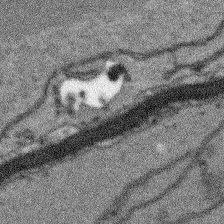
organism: Arabidopsis thaliana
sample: Root tip